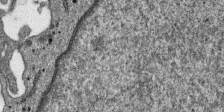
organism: Human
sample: Lung epithelial cells infected with SARS-CoV-2